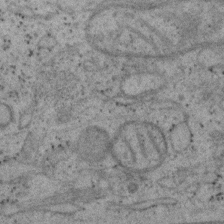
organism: Human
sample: HeLa cells